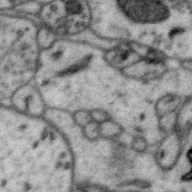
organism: Zebra finch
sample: Brain